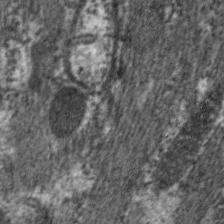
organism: C. elegans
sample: Pharynx